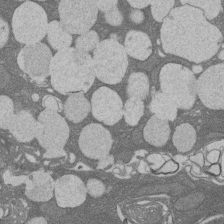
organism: Rat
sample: Salivary granule